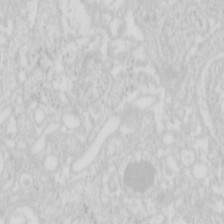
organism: Mouse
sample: Pancreas